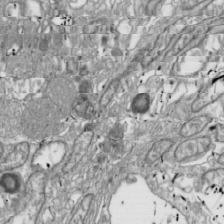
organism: Drosophila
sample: Cell division; meiosis; drosophila spermatocytes